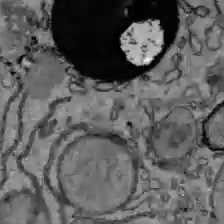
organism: C57BL Mouse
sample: Liver